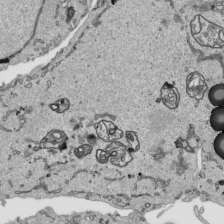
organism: Human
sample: Mitochondria in HCT116 cells